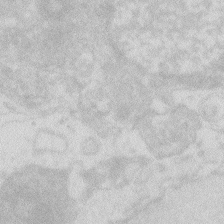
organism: Zebrafish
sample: Macrophage